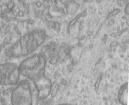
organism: Human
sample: Centriole in RPE cells